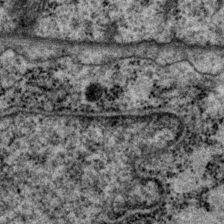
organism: P. pacificus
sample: Pharynx